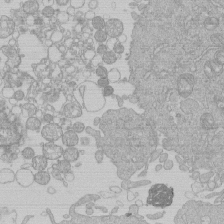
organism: Human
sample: Macrophage cells